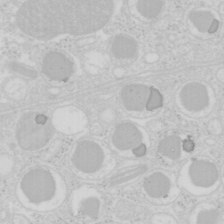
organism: Mouse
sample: Pancreas